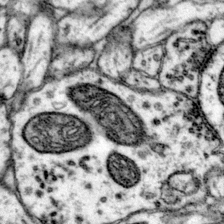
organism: Mouse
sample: Primary visual cortex